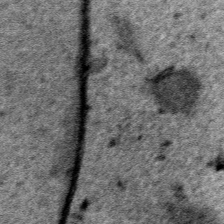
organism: Human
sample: Mitochondria in HCT116 cells